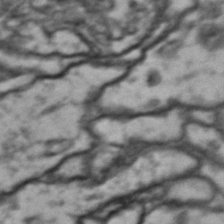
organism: Drosophila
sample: Brain